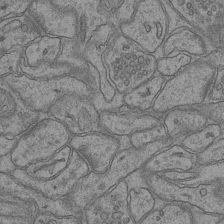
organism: Mouse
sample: CA1 Hippocampus